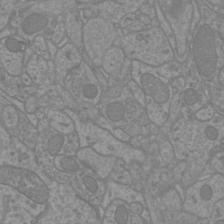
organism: Mouse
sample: Cortical neurons